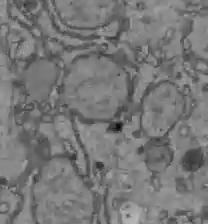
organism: C57BL Mouse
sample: Liver